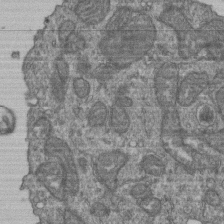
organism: Human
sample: Retinal organoid Rod and Cone cells